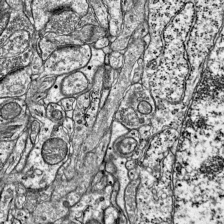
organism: Mouse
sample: Visual Cortex